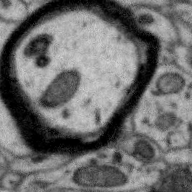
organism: Zebra finch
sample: Brain